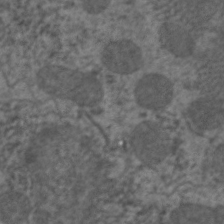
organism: C. elegans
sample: Pharynx